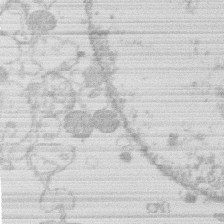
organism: Human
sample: Macrophage cells